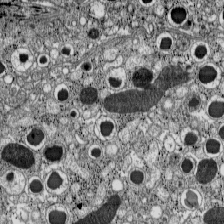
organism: C57BL Mouse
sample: Pancreatic islet